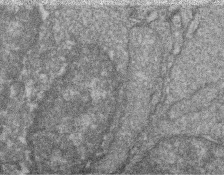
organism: Zebrafish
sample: Cilia; retinal pigment epithelium